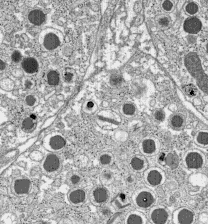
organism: C57BL Mouse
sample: Pancreatic islet